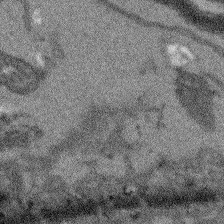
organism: Arabidopsis thaliana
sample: Root tip